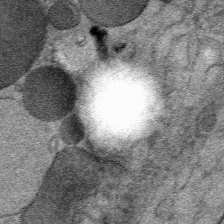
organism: Mouse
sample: Mouse Salivary gland